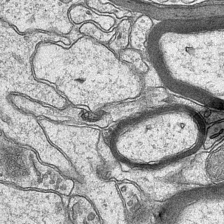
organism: Mouse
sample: CA1 Hippocampus